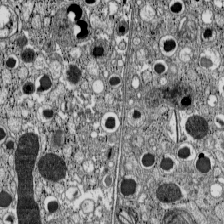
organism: C57BL Mouse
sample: Pancreatic islet